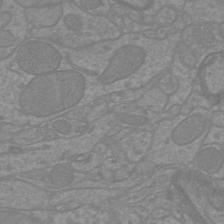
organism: Mouse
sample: Cortical neurons